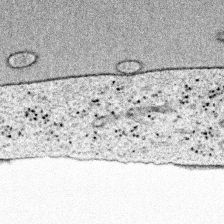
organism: Human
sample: HeLa cells